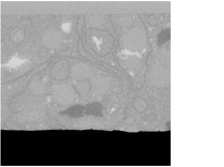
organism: C. elegans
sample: C. elegans oocyte; sperm cells